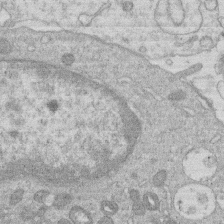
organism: Human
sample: Macrophage cells